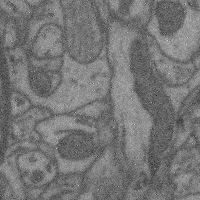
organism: Mouse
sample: Cerebral cortex